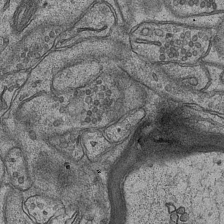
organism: Mouse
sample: CA1 Hippocampus